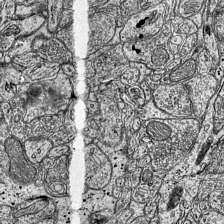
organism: Mouse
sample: Visual Cortex